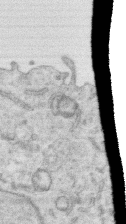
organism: Human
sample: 1205lu cells